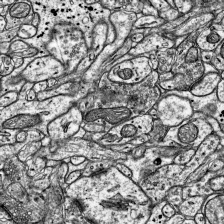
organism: Mouse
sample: Visual Cortex